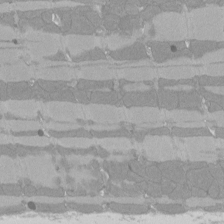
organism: Rat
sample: Left ventricle